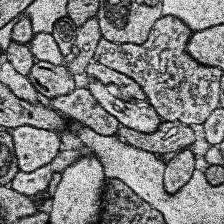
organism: Human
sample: Temporal Lobe